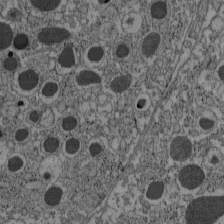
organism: C57BL Mouse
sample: Pancreatic islet